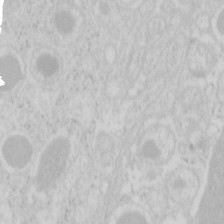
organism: Mouse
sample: Pancreas